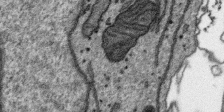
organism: Human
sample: Lung epithelial cells, uninfected (mock) control